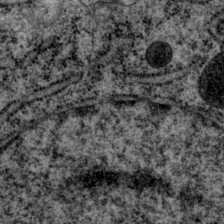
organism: P. pacificus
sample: Pharynx